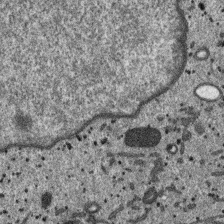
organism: Human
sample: Lung epithelial cells infected with SARS-CoV-2